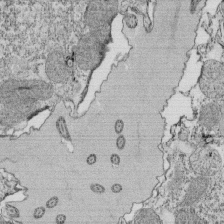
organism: Tetrahymena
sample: Cilia in tetrahymena